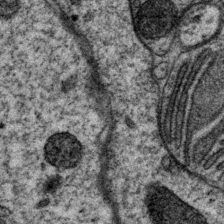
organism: P. pacificus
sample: Pharynx